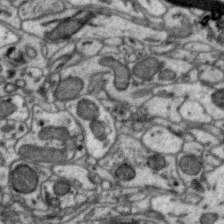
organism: Zebra finch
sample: Brain